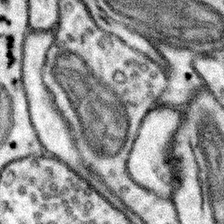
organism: Mouse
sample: Somatosensory cortex neuropil